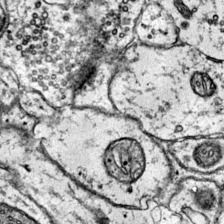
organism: Mouse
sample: Primary visual cortex